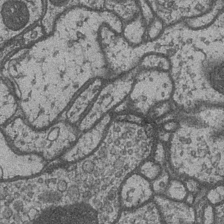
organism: Drosophila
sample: Optic medulla